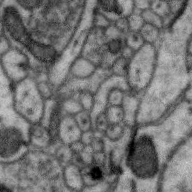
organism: Zebra finch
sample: Brain